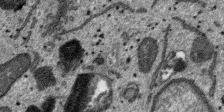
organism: Human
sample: Lung epithelial cells, uninfected (mock) control